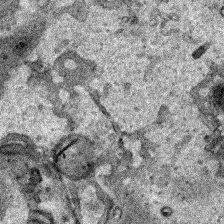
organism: Human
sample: Mitochondria in HCT116 cells